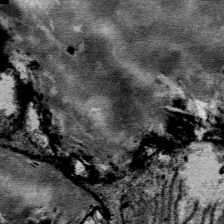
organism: Mouse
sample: Mouse Salivary gland